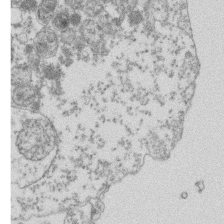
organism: Human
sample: HeLa cell HIV synapse